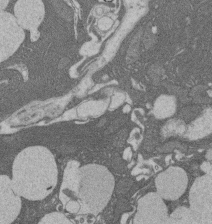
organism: Rat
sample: Salivary granule